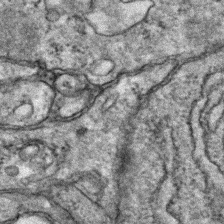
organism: Zebrafish